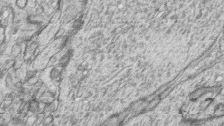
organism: Zebrafish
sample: synaptic ribbons in rod cells and cone cells